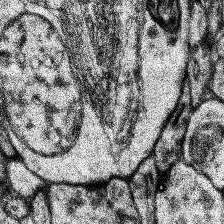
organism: Human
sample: Temporal Lobe